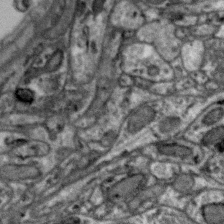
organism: Zebra finch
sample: Brain